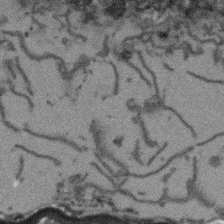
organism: Arabidopsis thaliana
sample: Root tip